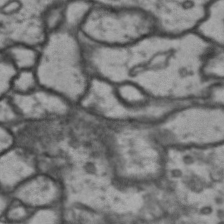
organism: Drosophila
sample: Brain